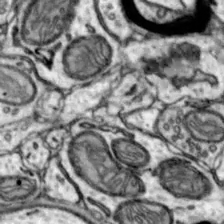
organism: Mouse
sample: Nucleus accumbens